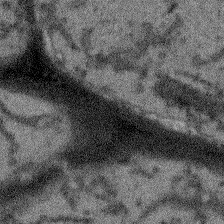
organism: Arabidopsis thaliana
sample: Root tip